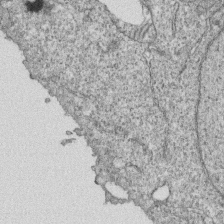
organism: Human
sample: HeLa cell HIV synapse